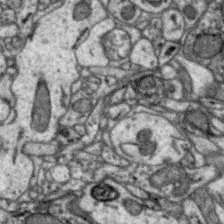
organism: Zebra finch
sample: Brain